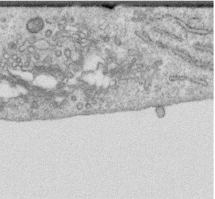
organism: Human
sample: Centriole in RPE cells